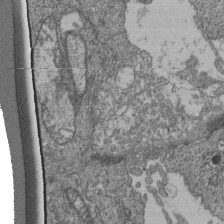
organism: Human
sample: Retinal organoid Rod and Cone cells